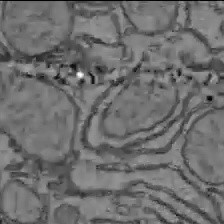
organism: C57BL Mouse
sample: Liver